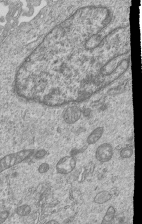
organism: Human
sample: MDA-MB-231 cells